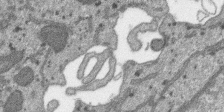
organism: Human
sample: Lung epithelial cells infected with SARS-CoV-2